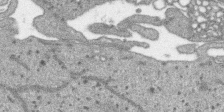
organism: Human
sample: Lung epithelial cells infected with SARS-CoV-2